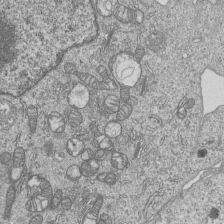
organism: Human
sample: MDA-MB-231 cells